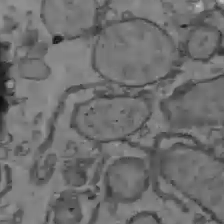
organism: C57BL Mouse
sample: Liver